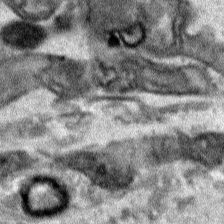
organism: Human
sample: Mitochondria in HCT116 cells